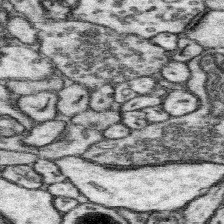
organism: Mouse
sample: Somatosensory cortex neuropil